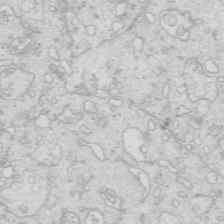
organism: Mouse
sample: Multiciliated cells